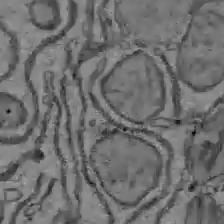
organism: C57BL Mouse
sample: Liver